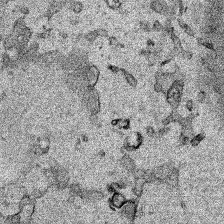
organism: Human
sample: Mitochondria in HCT116 cells